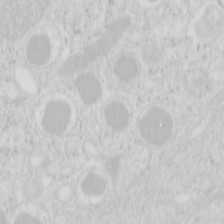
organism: Mouse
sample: Pancreas